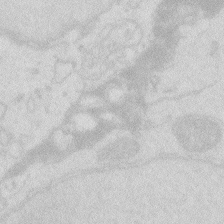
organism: Zebrafish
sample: Macrophage